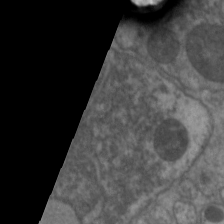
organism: C. elegans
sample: Pharynx